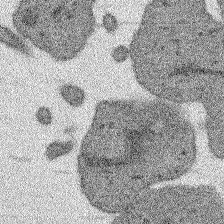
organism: Human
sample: HeLa cells